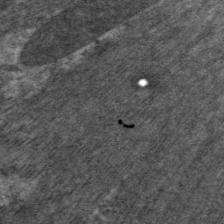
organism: C. elegans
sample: Pharynx